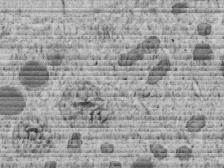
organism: C. elegans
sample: C. elegans embryo early stage